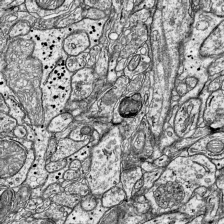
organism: Mouse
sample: Visual Cortex